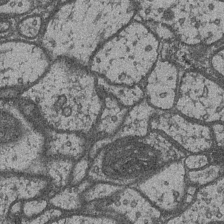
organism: Drosophila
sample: Optic medulla